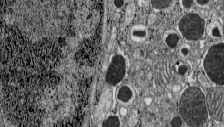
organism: C57BL Mouse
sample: Pancreatic islet